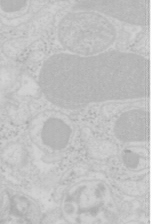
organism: Mouse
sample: Pancreas